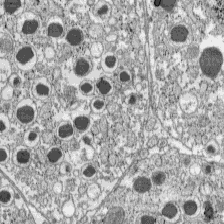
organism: C57BL Mouse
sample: Pancreatic islet